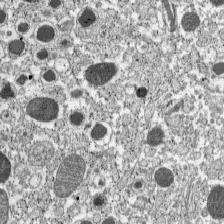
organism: C57BL Mouse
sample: Pancreatic islet